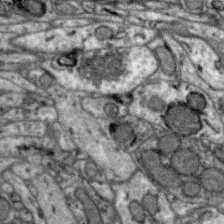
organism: Zebra finch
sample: Brain